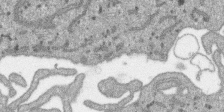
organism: Human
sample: Lung epithelial cells infected with SARS-CoV-2